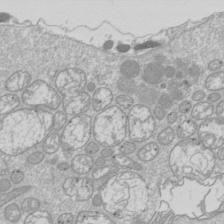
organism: Drosophila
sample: Cell division; meiosis; drosophila spermatocytes